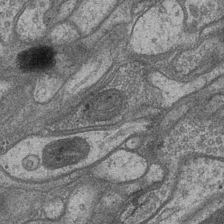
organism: Drosophila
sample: Optic medulla